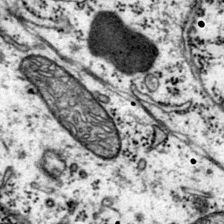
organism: Mouse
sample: Primary visual cortex